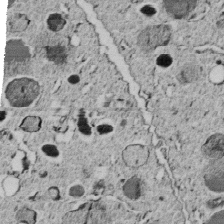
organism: C. elegans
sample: C. elegans embryo early stage